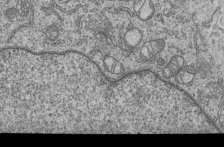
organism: Human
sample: MDA-MB-231 cells